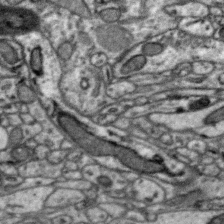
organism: Zebra finch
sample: Brain